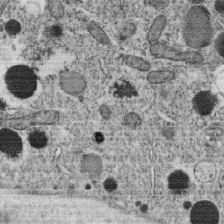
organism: C. elegans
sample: C. elegans oocyte; sperm cells